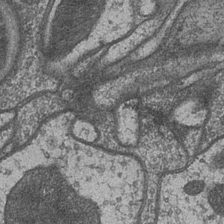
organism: Drosophila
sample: Optic medulla